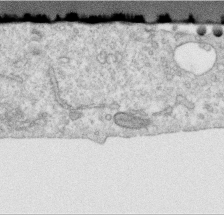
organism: Human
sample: Centriole in RPE cells